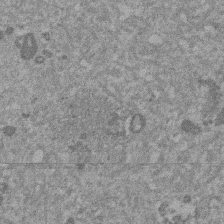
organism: Mouse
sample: Dividing mouse embryo 1 cell stage